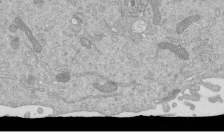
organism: Mouse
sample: ED-1 cell nuclei; centrioles